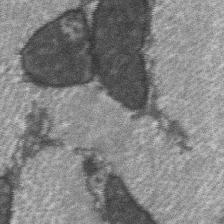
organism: C57BL Mouse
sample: Soleus